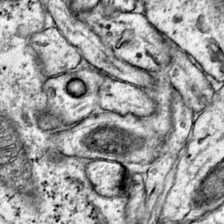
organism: Mouse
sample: Primary visual cortex